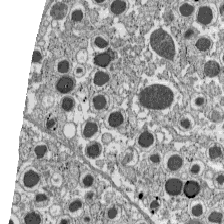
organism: C57BL Mouse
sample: Pancreatic islet